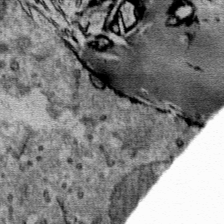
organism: Mouse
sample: Mouse Salivary gland